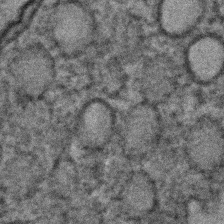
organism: C. elegans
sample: C. elegans embryo